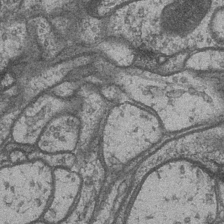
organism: Drosophila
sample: Optic medulla